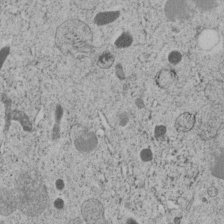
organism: C. elegans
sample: C. elegans embryo early stage